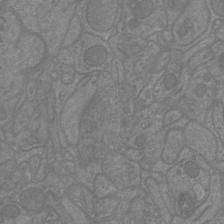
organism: Mouse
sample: Cortical neurons